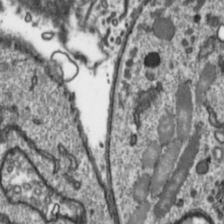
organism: Toxoplasma gondii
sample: Parasites in a vacuole inside a host cell